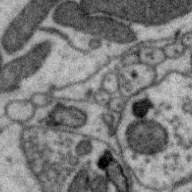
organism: Zebra finch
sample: Brain